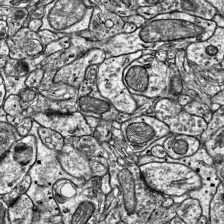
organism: Mouse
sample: Visual Cortex